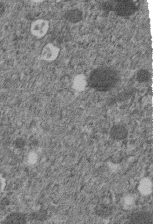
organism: C. elegans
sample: C. elegans embryo early stage